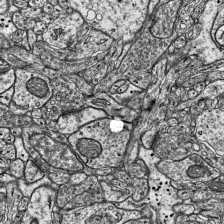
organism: Mouse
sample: Visual Cortex